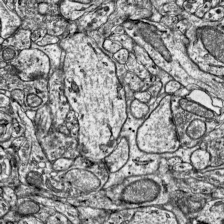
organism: Mouse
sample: Visual Cortex